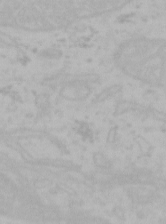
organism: Mouse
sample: Choroid plexus